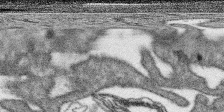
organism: Human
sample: Lung epithelial cells infected with SARS-CoV-2